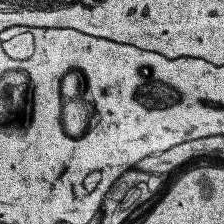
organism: Human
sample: Temporal Lobe